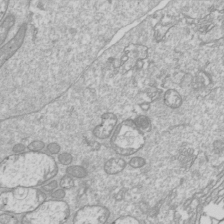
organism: Drosophila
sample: Cell division; meiosis; drosophila spermatocytes